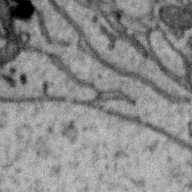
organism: Zebra finch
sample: Brain